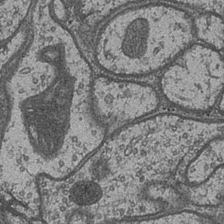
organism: Drosophila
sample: Optic medulla